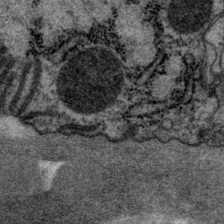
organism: P. pacificus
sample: Pharynx